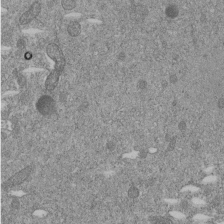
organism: C. elegans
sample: C. elegans embryo early stage